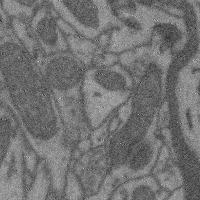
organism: Mouse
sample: Cerebral cortex